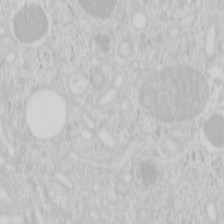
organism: Mouse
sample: Pancreas